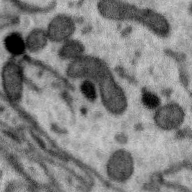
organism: Zebra finch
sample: Brain